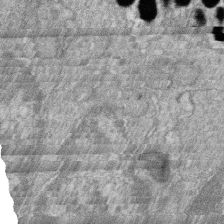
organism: Zebrafish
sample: Cilia; retinal pigment epithelium